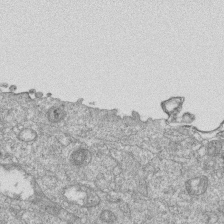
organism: Human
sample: HeLa cell HIV synapse